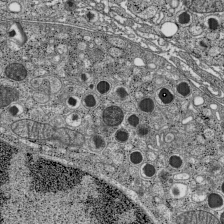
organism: C57BL Mouse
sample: Pancreatic islet